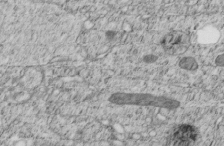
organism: C. elegans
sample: C. elegans embryo early stage